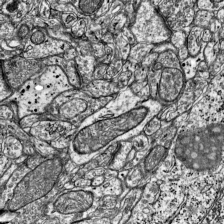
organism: Mouse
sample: Visual Cortex